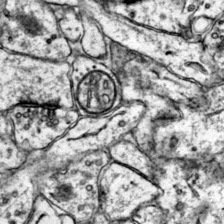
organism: Mouse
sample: Primary visual cortex